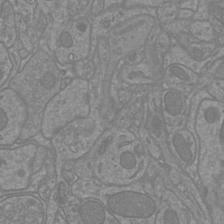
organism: Mouse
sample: Cortical neurons